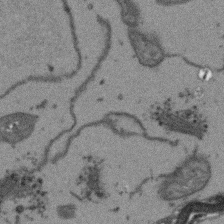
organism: Arabidopsis thaliana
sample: Root tip